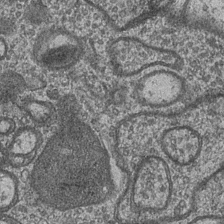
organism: Drosophila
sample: Optic medulla